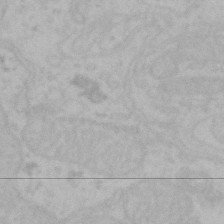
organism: Mouse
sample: Choroid plexus